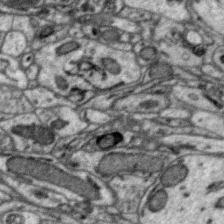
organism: Zebra finch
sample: Brain